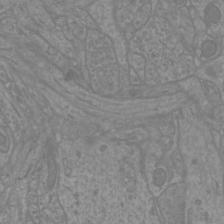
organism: Mouse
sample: Cortical neurons